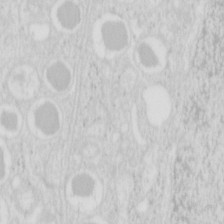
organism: Mouse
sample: Pancreas